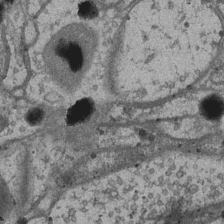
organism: Drosophila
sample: Optic medulla